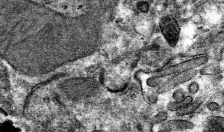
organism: Mouse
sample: Mouse hepatocytes